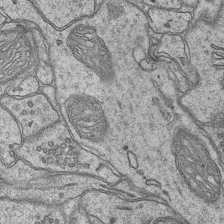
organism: Mouse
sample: CA1 Hippocampus